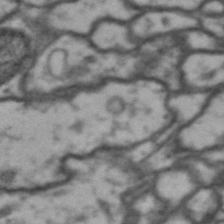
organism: Drosophila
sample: Brain